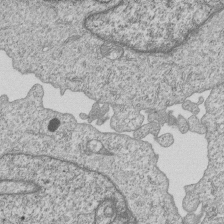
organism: Human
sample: MDA-MB-231 cells